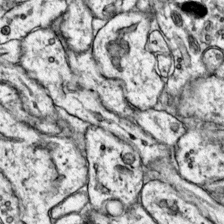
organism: Mouse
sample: Primary visual cortex